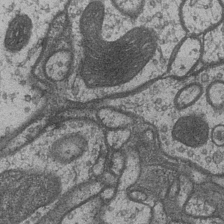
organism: Drosophila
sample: Optic medulla